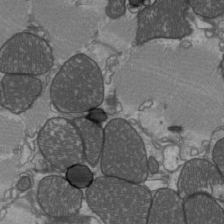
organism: C57BL Mouse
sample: Heart